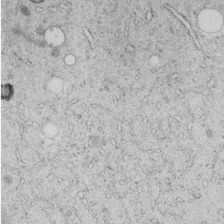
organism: C. elegans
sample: C. elegans embryo early stage